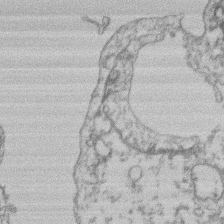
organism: Mouse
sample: T cell stromal cell synapse